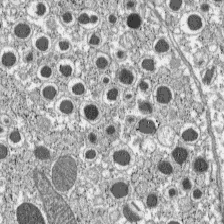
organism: C57BL Mouse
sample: Pancreatic islet